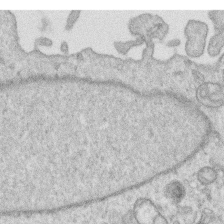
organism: Human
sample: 1205lu cells